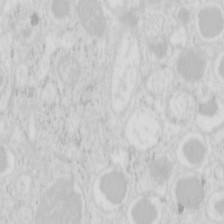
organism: Mouse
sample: Pancreas